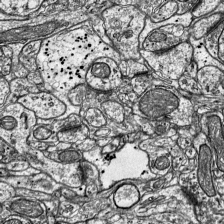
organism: Mouse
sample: Visual Cortex